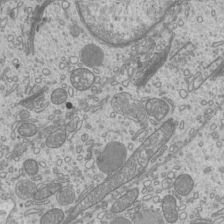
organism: Mouse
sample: Cilia; mouse epididymis